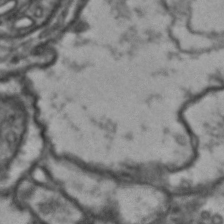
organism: Drosophila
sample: Brain